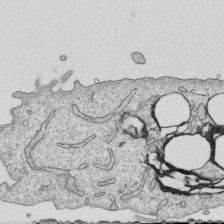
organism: Human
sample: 1205lu cells